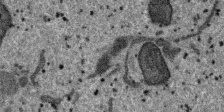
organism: Human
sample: Lung epithelial cells, uninfected (mock) control